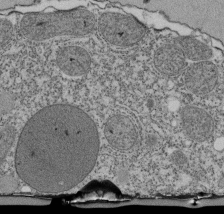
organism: Tetrahymena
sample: Cilia in tetrahymena